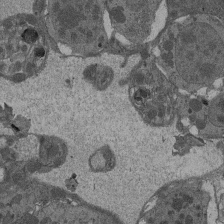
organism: Drosophila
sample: Antenna